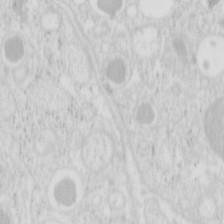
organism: Mouse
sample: Pancreas